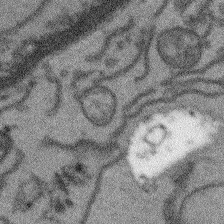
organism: Arabidopsis thaliana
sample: Root tip